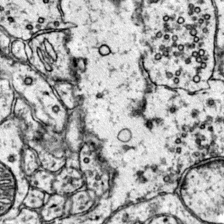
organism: Mouse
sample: Primary visual cortex